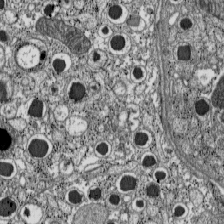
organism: C57BL Mouse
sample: Pancreatic islet